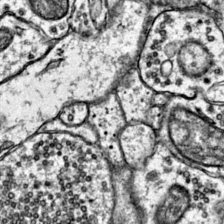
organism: Mouse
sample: Primary visual cortex